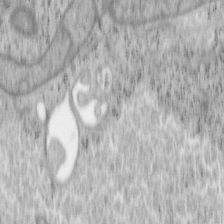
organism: Human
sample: HeLa cells